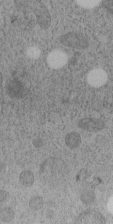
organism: C. elegans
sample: C. elegans embryo early stage